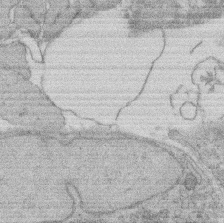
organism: Rat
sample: Salivary granule